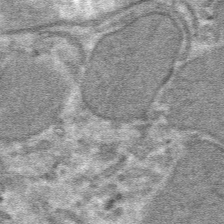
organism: Mouse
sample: Mouse hepatocytes